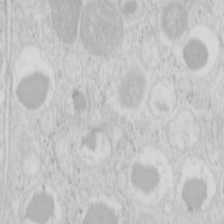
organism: Mouse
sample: Pancreas